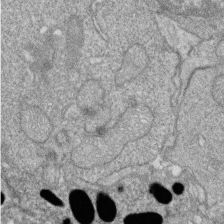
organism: Zebrafish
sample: Cilia; retinal pigment epithelium